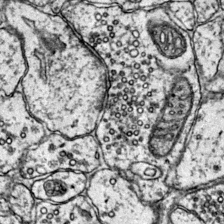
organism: Mouse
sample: Primary visual cortex